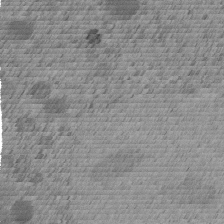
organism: C. elegans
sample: C. elegans embryo early stage